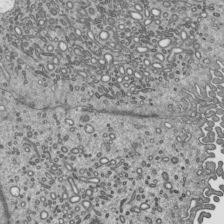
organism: Mouse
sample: Mouse epididymis efferent ductule cilia